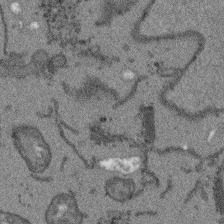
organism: Arabidopsis thaliana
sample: Root tip